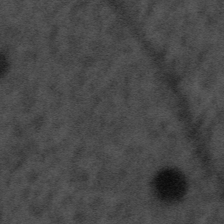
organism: Tuwongella immobilis